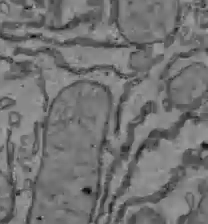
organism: C57BL Mouse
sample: Liver